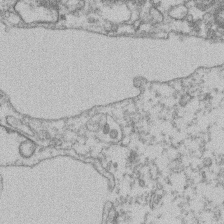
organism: Mouse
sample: T cell stromal cell synapse